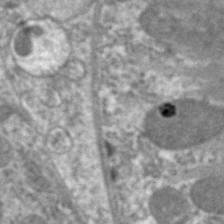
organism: C. elegans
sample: Pharynx